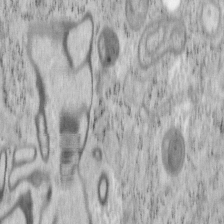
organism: Human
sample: HeLa cells